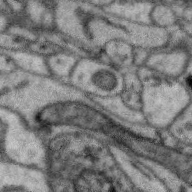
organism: Zebra finch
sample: Brain